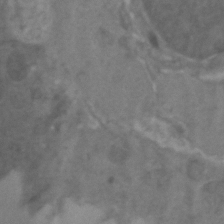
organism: Zebrafish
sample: Zebrafish embryo